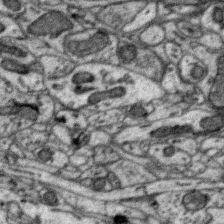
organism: Zebra finch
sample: Brain